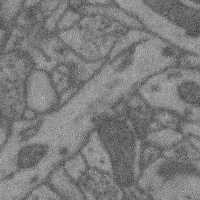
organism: Mouse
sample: Cerebral cortex